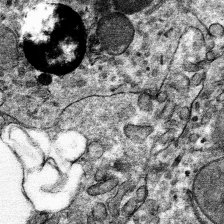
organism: Mouse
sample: Mouse hepatocytes